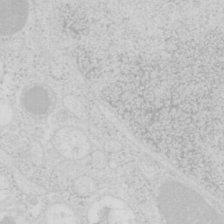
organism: Mouse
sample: Pancreas